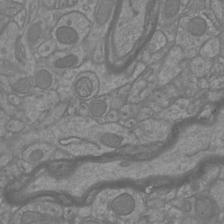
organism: Mouse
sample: Cortical neurons